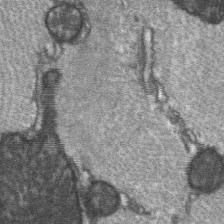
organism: C57BL Mouse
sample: Soleus